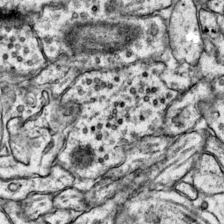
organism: Mouse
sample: Primary visual cortex